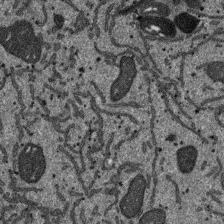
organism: Human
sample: Lung epithelial cells infected with SARS-CoV-2